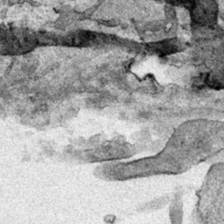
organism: Human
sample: Mitochondria in HCT116 cells